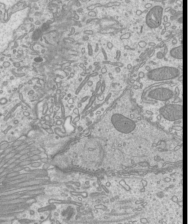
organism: Mouse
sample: Cilia; mouse epididymis